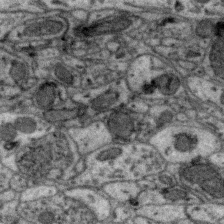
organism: Zebra finch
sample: Brain